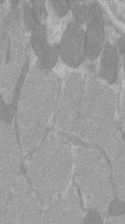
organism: C57BL Mouse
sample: Tibialis anterior muscle cell